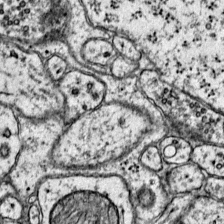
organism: Mouse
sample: Primary visual cortex